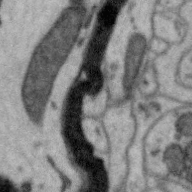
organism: Zebra finch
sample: Brain